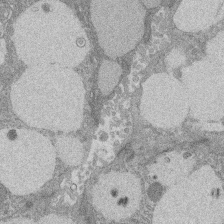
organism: Rat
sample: Salivary granule